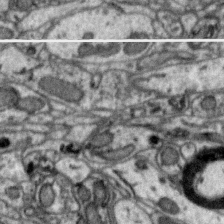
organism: Zebra finch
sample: Brain